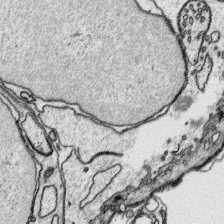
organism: Platynereis dumerilii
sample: Parapodia